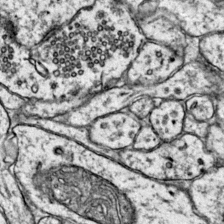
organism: Mouse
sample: Primary visual cortex